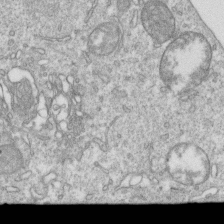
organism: Mouse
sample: Activated OT-1 CD8+ T cells